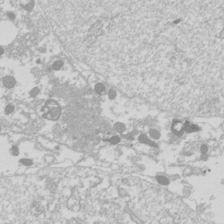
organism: Drosophila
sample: Cell division; meiosis; drosophila spermatocytes